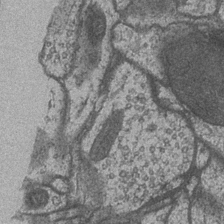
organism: Drosophila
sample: Optic medulla